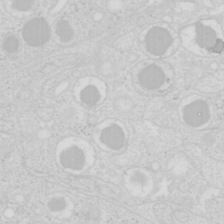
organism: Mouse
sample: Pancreas